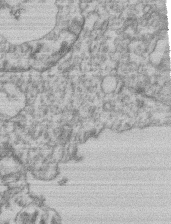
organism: Mouse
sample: T cell stromal cell synapse